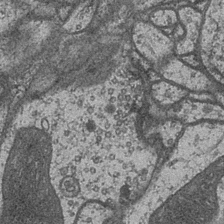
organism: Drosophila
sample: Optic medulla